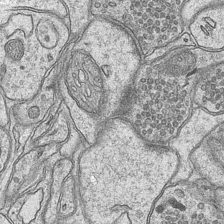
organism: Mouse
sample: CA1 Hippocampus